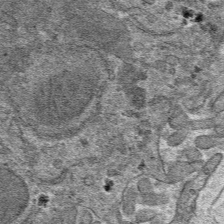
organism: Mouse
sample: Mouse hepatocytes